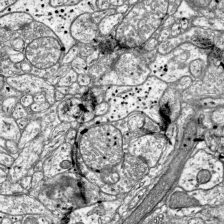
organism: Mouse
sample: Visual Cortex